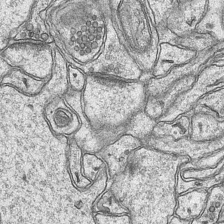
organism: Mouse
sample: CA1 Hippocampus